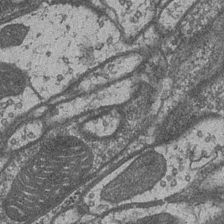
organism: Drosophila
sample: Optic medulla